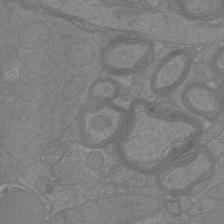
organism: Mouse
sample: Cortical neurons